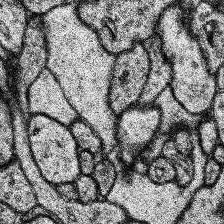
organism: Human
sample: Temporal Lobe